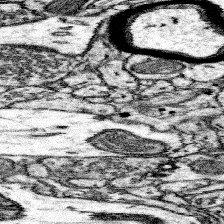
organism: Mouse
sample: Somatosensory cortex neuropil